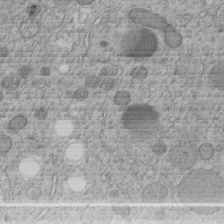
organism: C. elegans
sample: C. elegans embryo early stage